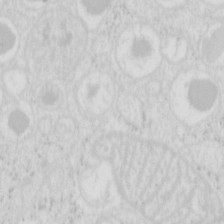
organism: Mouse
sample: Pancreas